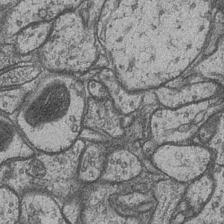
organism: Drosophila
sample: Optic medulla